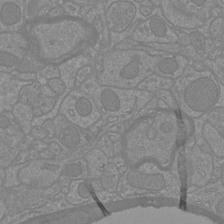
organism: Mouse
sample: Cortical neurons